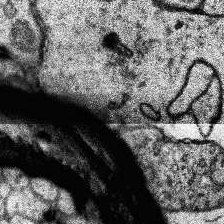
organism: Human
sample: Temporal Lobe